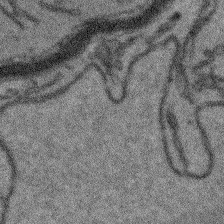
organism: Arabidopsis thaliana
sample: Root tip